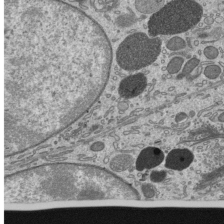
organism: Mouse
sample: Mouse epididymis efferent ductule cilia